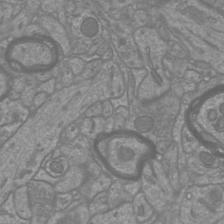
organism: Mouse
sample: Cortical neurons